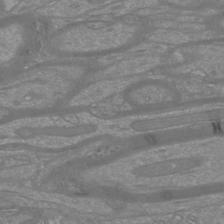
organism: Mouse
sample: Cortical neurons